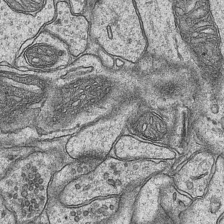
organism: Mouse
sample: CA1 Hippocampus